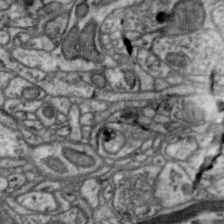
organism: Zebra finch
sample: Brain